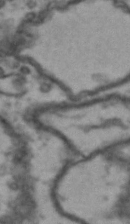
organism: Drosophila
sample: Brain